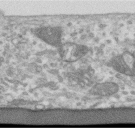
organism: Human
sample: Centriole in RPE cells